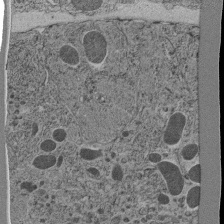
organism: C. elegans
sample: C. elegans pharynx